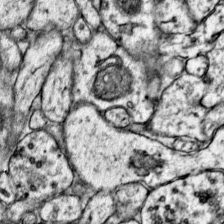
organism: Mouse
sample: Primary visual cortex